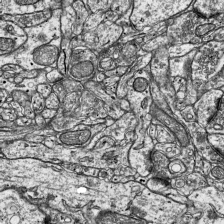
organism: Mouse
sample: Visual Cortex